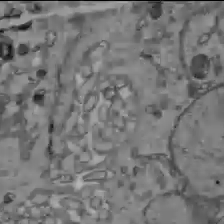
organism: C57BL Mouse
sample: Liver